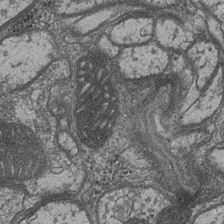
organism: Drosophila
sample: Optic medulla